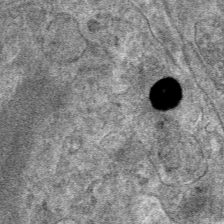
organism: Mouse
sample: Mouse hepatocytes